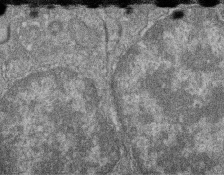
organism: Zebrafish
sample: Cilia; retinal pigment epithelium